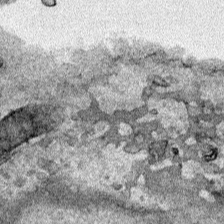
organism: Human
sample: Mitochondria in HCT116 cells